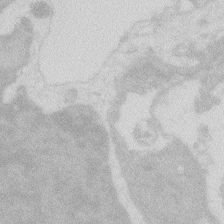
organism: Zebrafish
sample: Macrophage